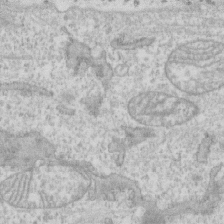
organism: Human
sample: CRL-1474